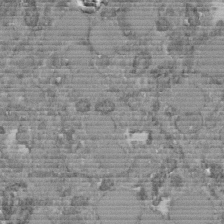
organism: C. elegans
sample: C. elegans embryo early stage